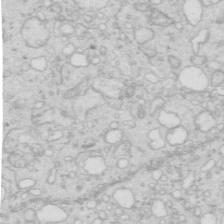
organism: Mouse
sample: Multiciliated cells